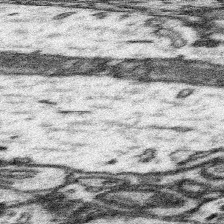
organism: Mouse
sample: Somatosensory cortex neuropil